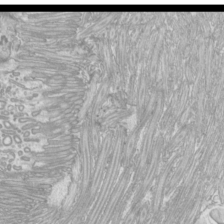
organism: Mouse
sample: Cilia; mouse epididymis